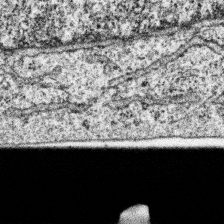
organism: Human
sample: HeLa cells